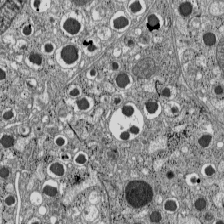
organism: C57BL Mouse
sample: Pancreatic islet